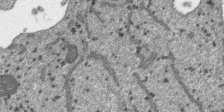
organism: Human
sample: Lung epithelial cells infected with SARS-CoV-2